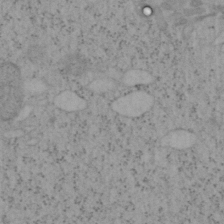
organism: Mouse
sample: OT-I killer T cells with ID8 ovarian cancer cells